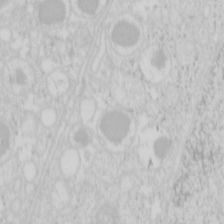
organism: Mouse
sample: Pancreas